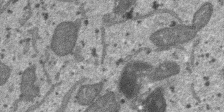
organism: Human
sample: Lung epithelial cells infected with SARS-CoV-2